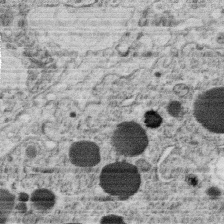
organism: C. elegans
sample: C. elegans oocyte; sperm cells